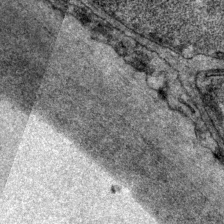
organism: P. pacificus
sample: Pharynx